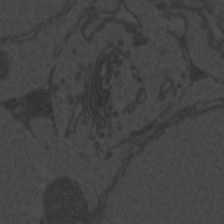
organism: Zebrafish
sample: Macrophage infected with Toxoplasma gondii